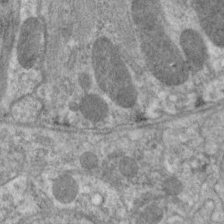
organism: C. elegans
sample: Pharynx